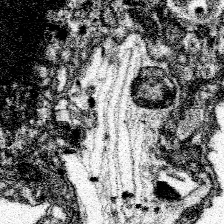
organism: Spongilla lacustris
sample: Neuroid cell